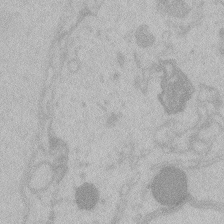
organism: Zebrafish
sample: Macrophage infected with Toxoplasma gondii